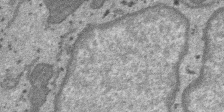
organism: Human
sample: Lung epithelial cells infected with SARS-CoV-2